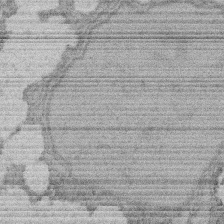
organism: Rat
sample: Salivary granule